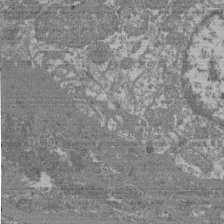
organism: Mouse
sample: Glomerulus